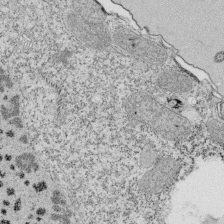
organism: Tetrahymena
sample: Cilia in tetrahymena